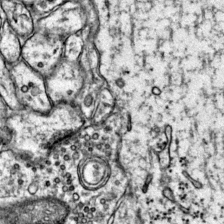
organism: Mouse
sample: Primary visual cortex